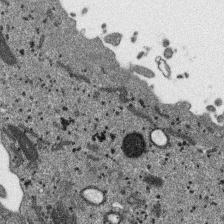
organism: Human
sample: Lung epithelial cells infected with SARS-CoV-2